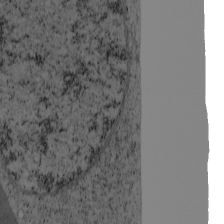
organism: African green monkey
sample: COS-7 cells